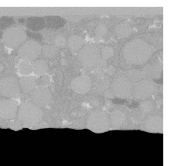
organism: C. elegans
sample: C. elegans oocyte; sperm cells